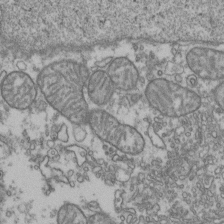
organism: Human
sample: Activated Jurkat CD4+ T cells